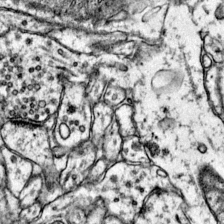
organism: Mouse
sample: Primary visual cortex